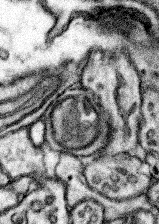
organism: Mouse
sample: Somatosensory cortex neuropil